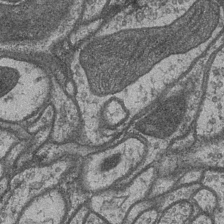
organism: Drosophila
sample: Optic medulla